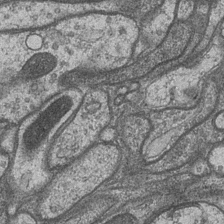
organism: Drosophila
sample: Optic medulla